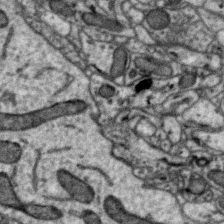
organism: Zebra finch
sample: Brain